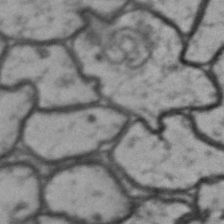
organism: Drosophila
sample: Brain